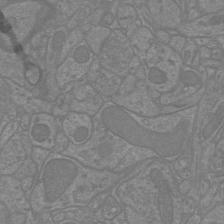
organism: Mouse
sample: Cortical neurons